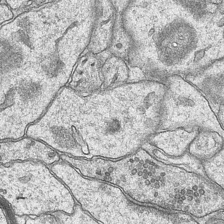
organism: Mouse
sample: CA1 Hippocampus